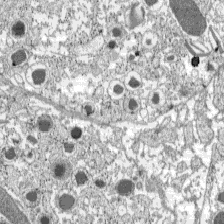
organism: C57BL Mouse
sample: Pancreatic islet